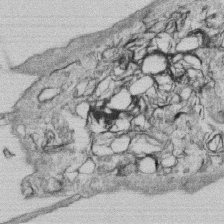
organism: Human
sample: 1205lu cells